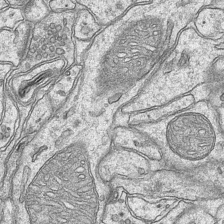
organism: Mouse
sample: CA1 Hippocampus